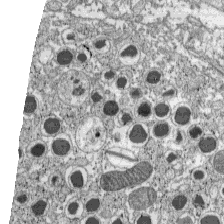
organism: C57BL Mouse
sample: Pancreatic islet